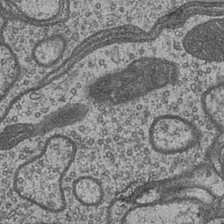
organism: Drosophila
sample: Optic medulla